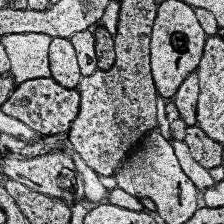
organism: Human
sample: Temporal Lobe